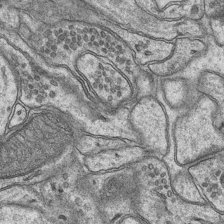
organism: Mouse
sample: CA1 Hippocampus